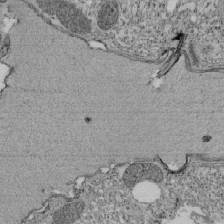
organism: Tetrahymena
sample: Cilia in tetrahymena